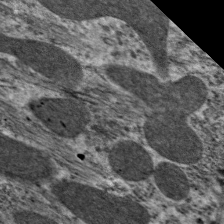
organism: C. elegans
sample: Pharynx